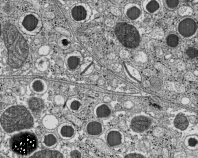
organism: C57BL Mouse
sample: Pancreatic islet